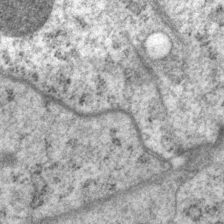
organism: P. pacificus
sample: Pharynx